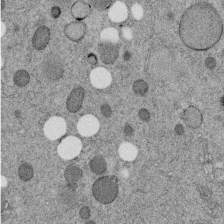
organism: C. elegans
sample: C. elegans embryo early stage